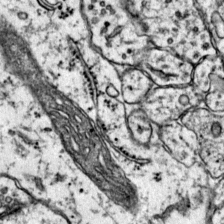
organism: Mouse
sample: Primary visual cortex